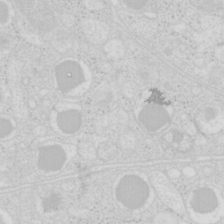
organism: Mouse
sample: Pancreas